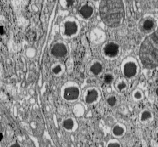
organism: C57BL Mouse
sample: Pancreatic islet